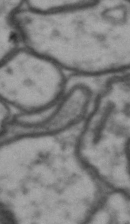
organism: Drosophila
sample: Brain